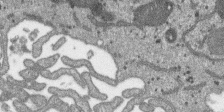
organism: Human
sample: Lung epithelial cells infected with SARS-CoV-2